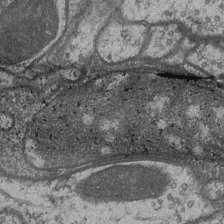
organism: Drosophila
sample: Optic medulla